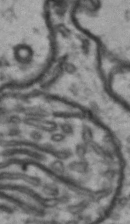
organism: Drosophila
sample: Brain